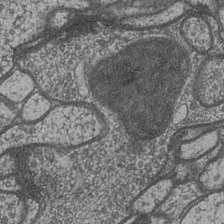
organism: Drosophila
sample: Optic medulla